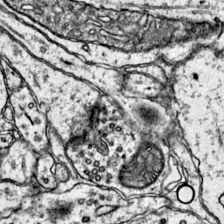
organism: Mouse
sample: Primary visual cortex